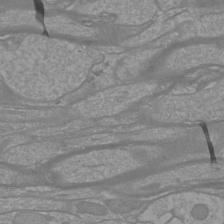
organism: Mouse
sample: Cortical neurons